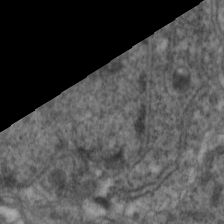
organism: C. elegans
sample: Pharynx